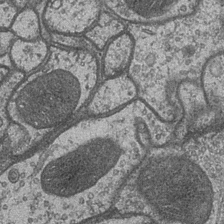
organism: Drosophila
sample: Optic medulla